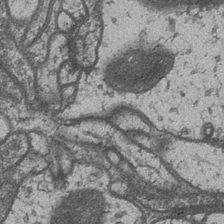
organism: Drosophila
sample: Optic medulla